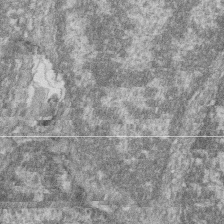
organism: Zebrafish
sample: Cilia; retinal pigment epithelium